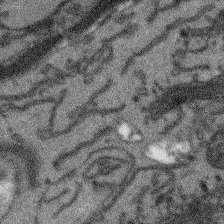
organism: Arabidopsis thaliana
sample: Root tip